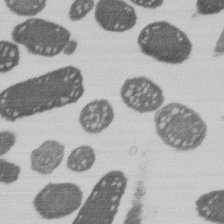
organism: E. coli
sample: Bacterial nucleoid